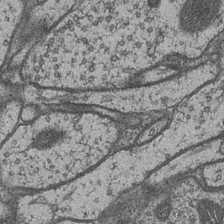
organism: Drosophila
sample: Optic medulla